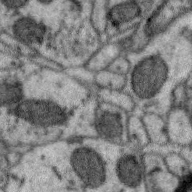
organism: Zebra finch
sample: Brain